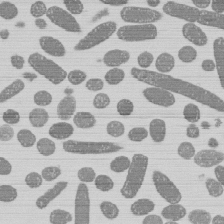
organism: E. coli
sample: Bacterial nucleoid